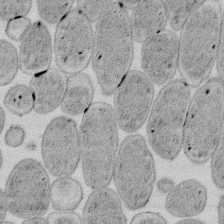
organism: E. coli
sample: Bacterial nucleoid